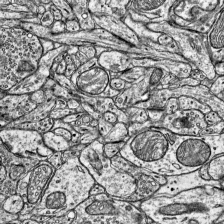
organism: Mouse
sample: Visual Cortex